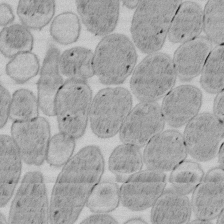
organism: E. coli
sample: Bacterial nucleoid